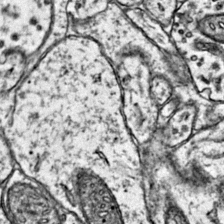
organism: Mouse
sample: Primary visual cortex